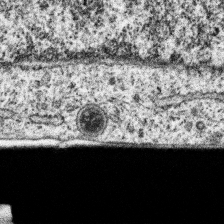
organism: Human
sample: HeLa cells